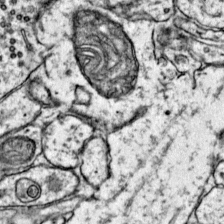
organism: Mouse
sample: Primary visual cortex